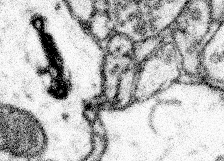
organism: Mouse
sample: Somatosensory cortex neuropil